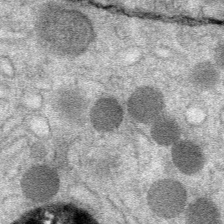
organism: Mouse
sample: Mouse Salivary gland